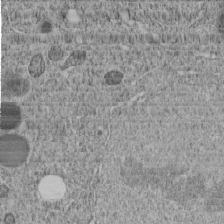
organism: C. elegans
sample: C. elegans embryo early stage